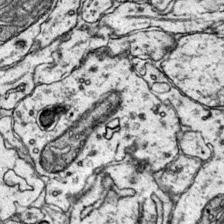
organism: Mouse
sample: Primary visual cortex